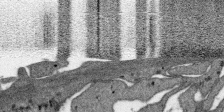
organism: Human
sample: Lung epithelial cells, uninfected (mock) control